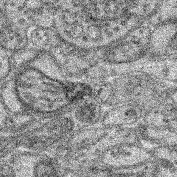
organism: Mouse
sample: Retina